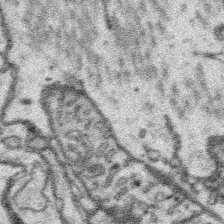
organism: Platynereis dumerilii